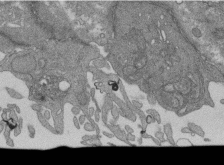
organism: Human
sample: Retinal organoid Rod and Cone cells